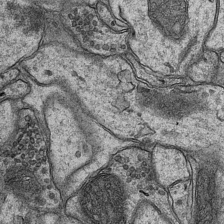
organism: Mouse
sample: CA1 Hippocampus